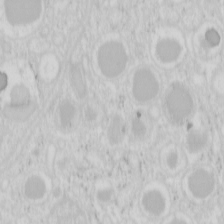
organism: Mouse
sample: Pancreas